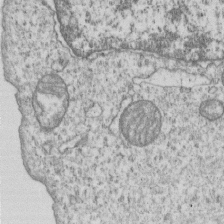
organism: Human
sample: MDA-MB-231 cells